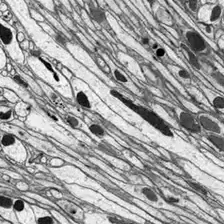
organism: Drosophila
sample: Optic lobe